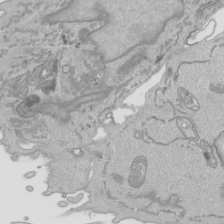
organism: Human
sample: Mitochondria in HCT116 cells